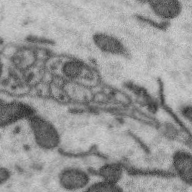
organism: Zebra finch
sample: Brain